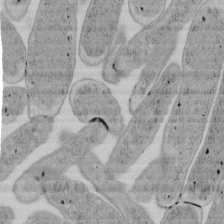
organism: E. coli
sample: Bacterial nucleoid